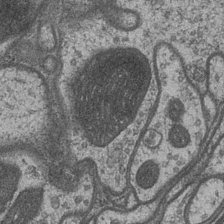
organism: Drosophila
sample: Optic medulla